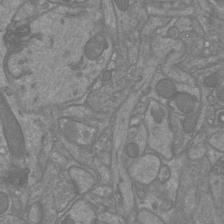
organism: Mouse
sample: Cortical neurons